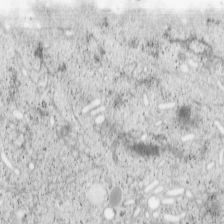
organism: African green monkey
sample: COS-7 cells